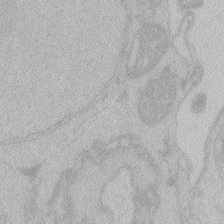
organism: Zebrafish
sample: Macrophage infected with Toxoplasma gondii